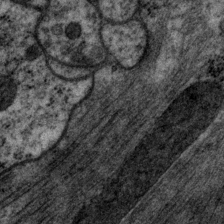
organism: P. pacificus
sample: Pharynx